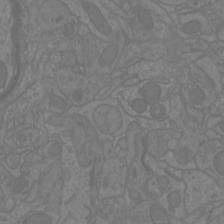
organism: Mouse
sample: Cortical neurons